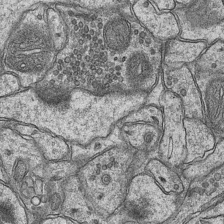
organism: Mouse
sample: CA1 Hippocampus